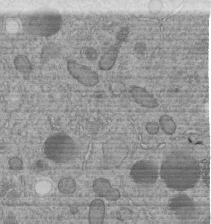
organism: C. elegans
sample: C. elegans embryo early stage